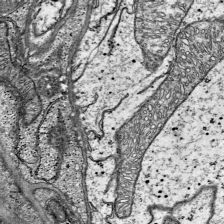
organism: Mouse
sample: Visual Cortex